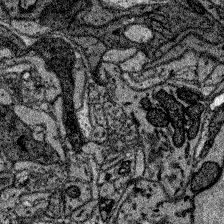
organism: Zebrafish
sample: Larval olfactory bulb